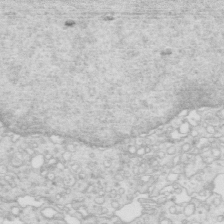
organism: Mouse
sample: Multiciliated cells